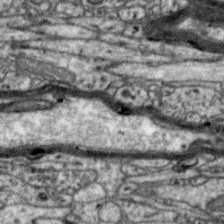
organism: Zebra finch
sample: Brain